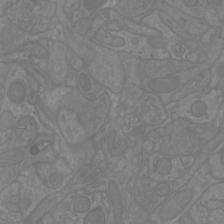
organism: Mouse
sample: Cortical neurons